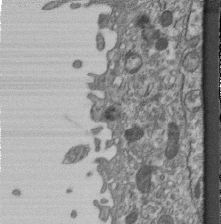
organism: Mouse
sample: Centriole in ependymal cells